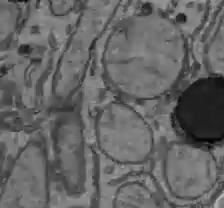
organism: C57BL Mouse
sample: Liver